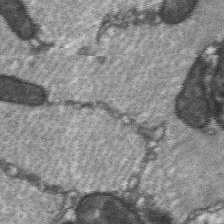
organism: C57BL Mouse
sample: Soleus